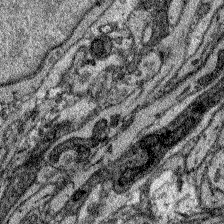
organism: Zebrafish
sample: Larval olfactory bulb